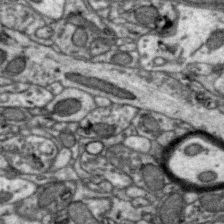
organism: Zebra finch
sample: Brain